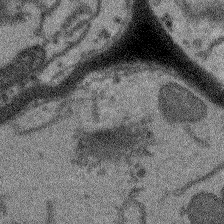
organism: Arabidopsis thaliana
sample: Root tip